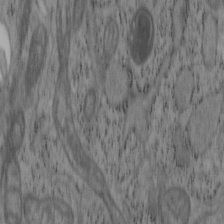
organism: Human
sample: HeLa cells